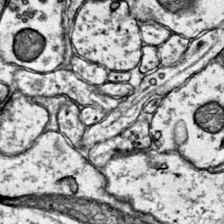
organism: Mouse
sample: Primary visual cortex